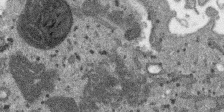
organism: Human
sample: Lung epithelial cells infected with SARS-CoV-2